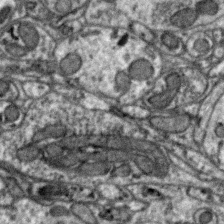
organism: Zebra finch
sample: Brain